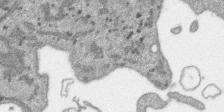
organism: Human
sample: Lung epithelial cells infected with SARS-CoV-2